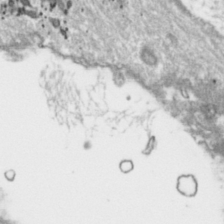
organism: Toxoplasma gondii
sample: Parasites in a vacuole inside a host cell